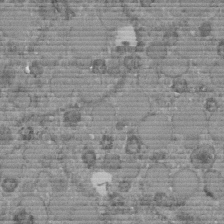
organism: C. elegans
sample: C. elegans embryo early stage